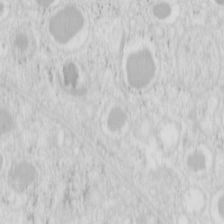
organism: Mouse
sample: Pancreas